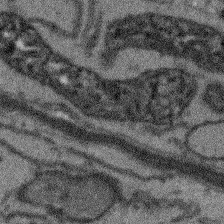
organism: Arabidopsis thaliana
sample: Root tip